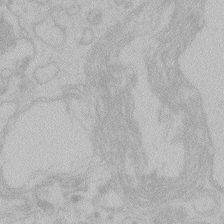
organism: Zebrafish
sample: Macrophage infected with Toxoplasma gondii